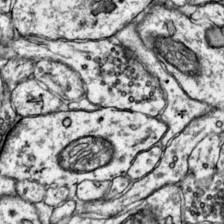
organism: Mouse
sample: Primary visual cortex